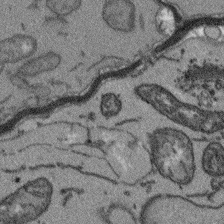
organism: Arabidopsis thaliana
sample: Root tip